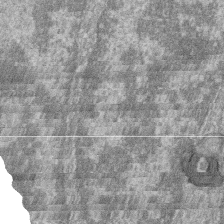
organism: Zebrafish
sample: Cilia; retinal pigment epithelium